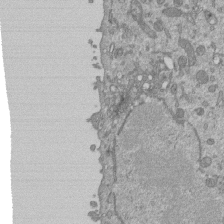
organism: Mouse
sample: ED-1 cell nuclei; centrioles